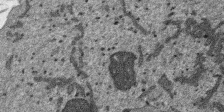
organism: Human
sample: Lung epithelial cells infected with SARS-CoV-2